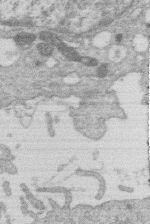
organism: Human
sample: Macrophage cells